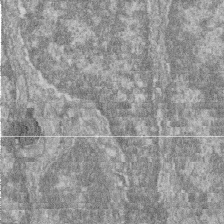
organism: Zebrafish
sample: Cilia; retinal pigment epithelium